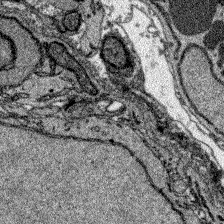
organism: Zebrafish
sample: Larval olfactory bulb